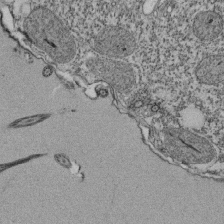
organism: Tetrahymena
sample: Cilia in tetrahymena